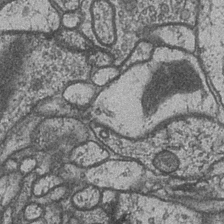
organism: Drosophila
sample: Optic medulla